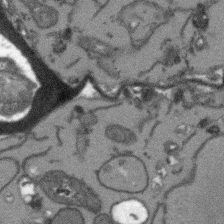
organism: Arabidopsis thaliana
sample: Root tip